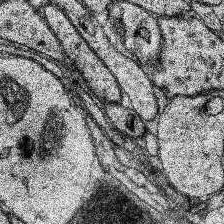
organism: Human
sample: Temporal Lobe